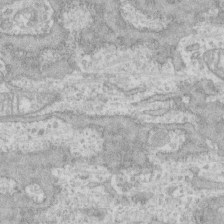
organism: Human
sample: CRL-1474